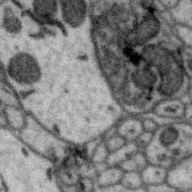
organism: Zebra finch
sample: Brain